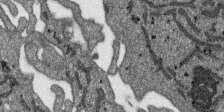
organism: Human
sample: Lung epithelial cells infected with SARS-CoV-2